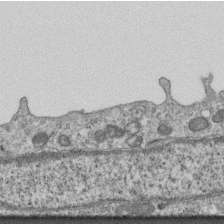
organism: Mouse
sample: Centriole in ependymal cells